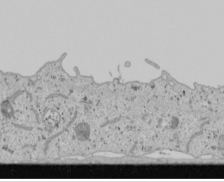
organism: Human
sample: Mitochondria in U2OS cells